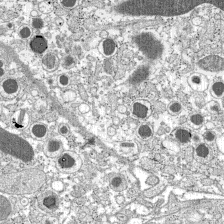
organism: C57BL Mouse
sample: Pancreatic islet